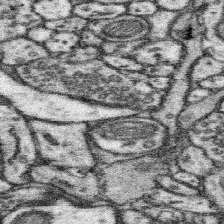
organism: Mouse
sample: Somatosensory cortex neuropil